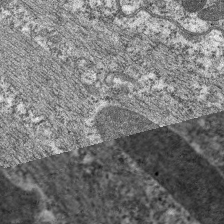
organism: C. elegans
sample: Pharynx